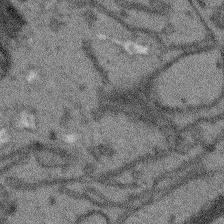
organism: Arabidopsis thaliana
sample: Root tip